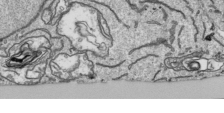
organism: Human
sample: Mitochondria in HCT116 cells